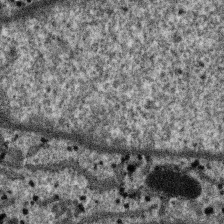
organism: Human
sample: Lung epithelial cells infected with SARS-CoV-2